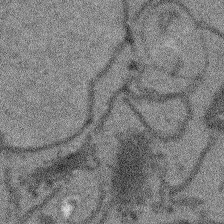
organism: Arabidopsis thaliana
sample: Root tip